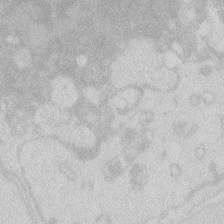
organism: Zebrafish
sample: Macrophage